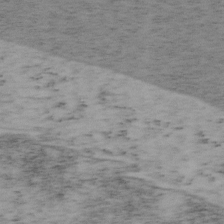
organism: Mouse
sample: OT-I killer T cells with ID8 ovarian cancer cells